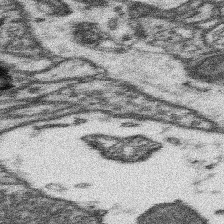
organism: Mouse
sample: Somatosensory cortex neuropil